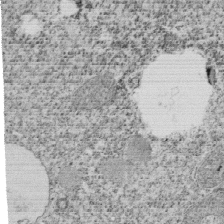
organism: Tetrahymena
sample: Cilia in tetrahymena